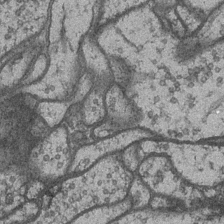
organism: Drosophila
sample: Optic medulla